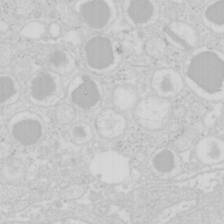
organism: Mouse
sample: Pancreas